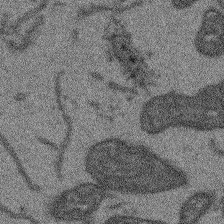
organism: Arabidopsis thaliana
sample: Root tip